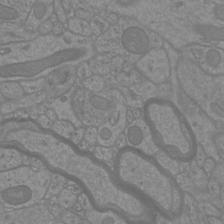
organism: Mouse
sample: Cortical neurons